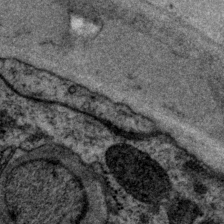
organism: P. pacificus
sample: Pharynx